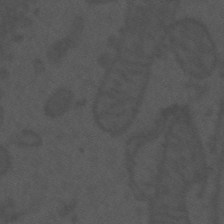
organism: Mouse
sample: Suprachiasmatic nucleus